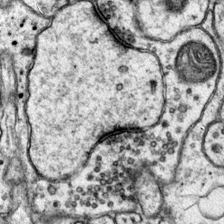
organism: Mouse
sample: Primary visual cortex